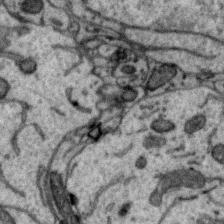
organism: Zebra finch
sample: Brain